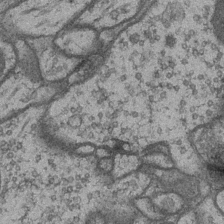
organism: Drosophila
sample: Optic medulla